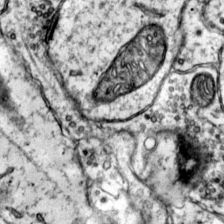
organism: Mouse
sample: Primary visual cortex